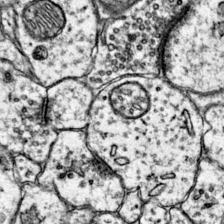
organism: Mouse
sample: Primary visual cortex